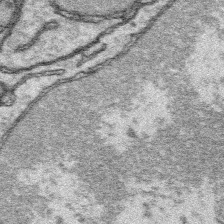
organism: Platynereis dumerilii